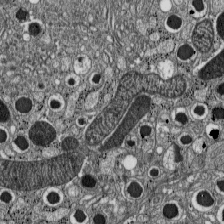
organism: C57BL Mouse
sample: Pancreatic islet